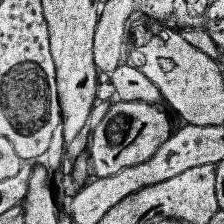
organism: Human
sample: Temporal Lobe